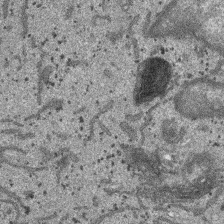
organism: Human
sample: Lung epithelial cells infected with SARS-CoV-2